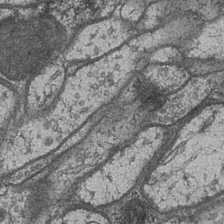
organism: Drosophila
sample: Optic medulla